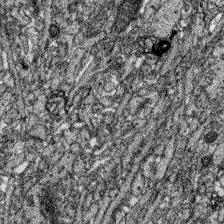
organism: Zebrafish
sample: Larval olfactory bulb